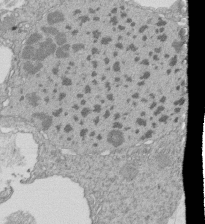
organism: Tetrahymena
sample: Cilia in tetrahymena